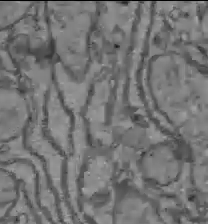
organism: C57BL Mouse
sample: Liver